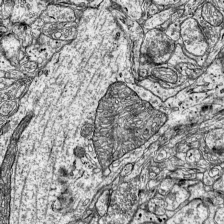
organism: Mouse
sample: Visual Cortex